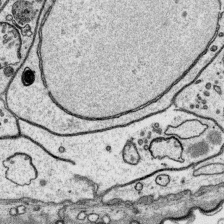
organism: Platynereis dumerilii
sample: Parapodia